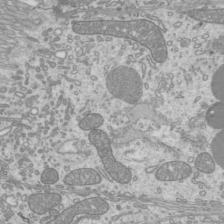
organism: Mouse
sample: Cilia; mouse epididymis